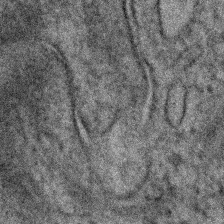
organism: Human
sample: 1205lu cells